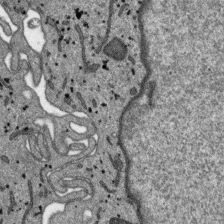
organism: Human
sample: Lung epithelial cells, uninfected (mock) control